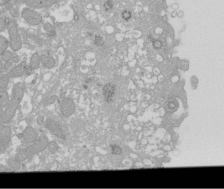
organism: Xenopus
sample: Cilia; centrioles in frog embryo cells